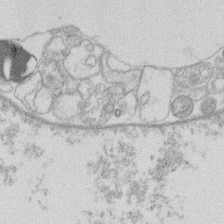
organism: Human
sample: Macrophage cells